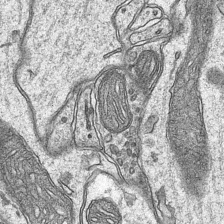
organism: Mouse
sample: CA1 Hippocampus